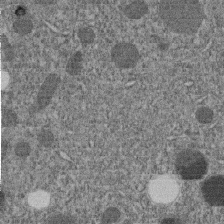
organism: C. elegans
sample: C. elegans embryo early stage